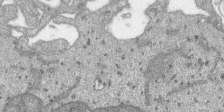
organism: Human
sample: Lung epithelial cells infected with SARS-CoV-2